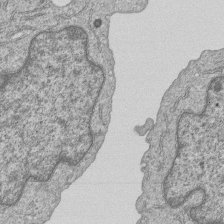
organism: Human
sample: MDA-MB-231 cells